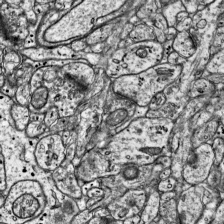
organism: Mouse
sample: Visual Cortex